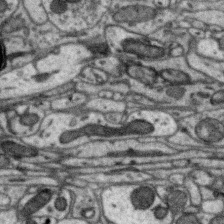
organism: Zebra finch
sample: Brain